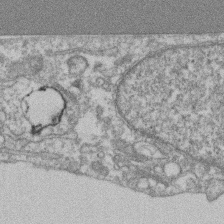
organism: Mouse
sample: T cell stromal cell synapse